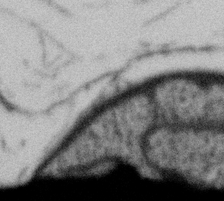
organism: Gemmata obscuriglobus